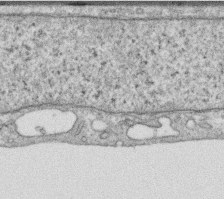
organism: Human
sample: Centriole in RPE cells